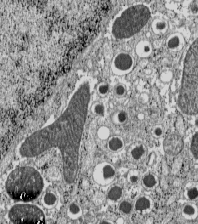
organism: C57BL Mouse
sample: Pancreatic islet